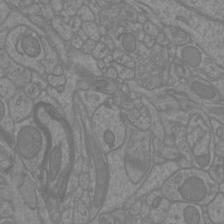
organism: Mouse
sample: Cortical neurons